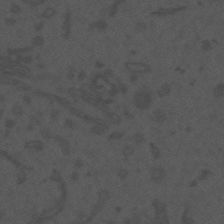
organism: Mouse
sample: Suprachiasmatic nucleus